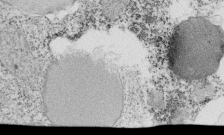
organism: Tetrahymena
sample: Cilia in tetrahymena